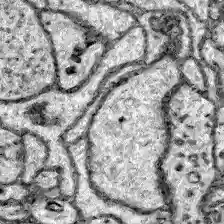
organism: Zebrafish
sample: Brain